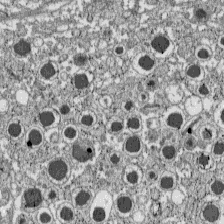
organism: C57BL Mouse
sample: Pancreatic islet